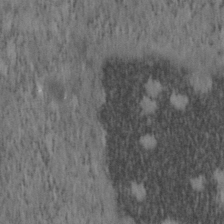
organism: Mouse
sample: OT-I killer T cells with ID8 ovarian cancer cells